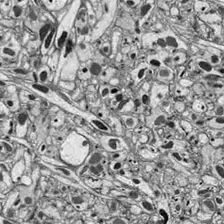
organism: Drosophila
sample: Optic lobe